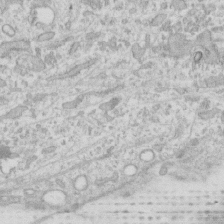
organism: Human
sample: Fibroblast cells